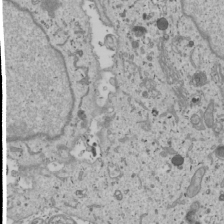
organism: Human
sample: Mitochondria in U2OS cells